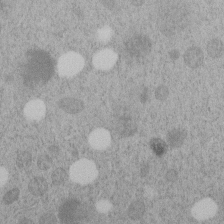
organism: C. elegans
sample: C. elegans embryo early stage